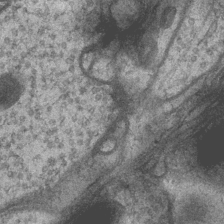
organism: Drosophila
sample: Optic medulla